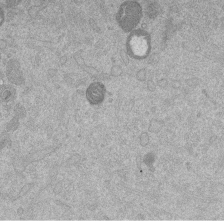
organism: Mouse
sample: Dividing mouse embryo 1 cell stage